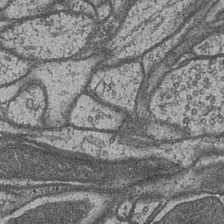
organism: Drosophila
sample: Optic medulla